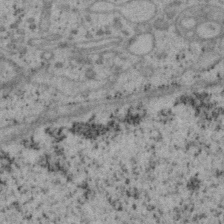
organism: Human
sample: HeLa cells